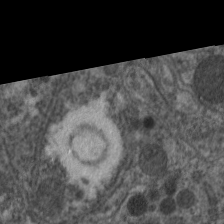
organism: C. elegans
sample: Pharynx